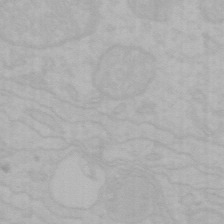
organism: Mouse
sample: Choroid plexus